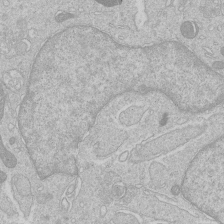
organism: Human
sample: Macrophage cells